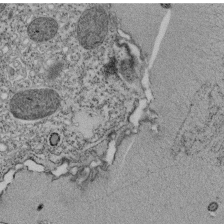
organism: Tetrahymena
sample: Cilia in tetrahymena